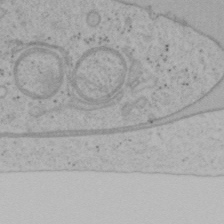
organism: Human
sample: HeLa cells